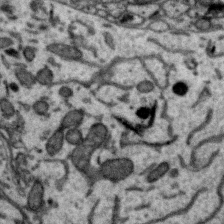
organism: Zebra finch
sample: Brain